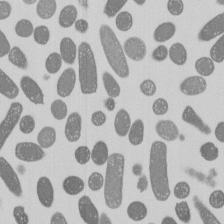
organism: E. coli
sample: Bacterial nucleoid